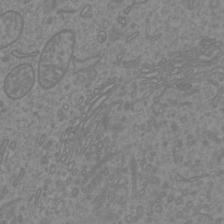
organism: Mouse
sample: Cortical neurons